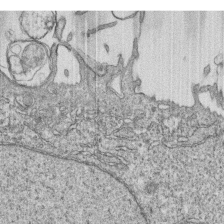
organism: Human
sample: HeLa cell HIV synapse